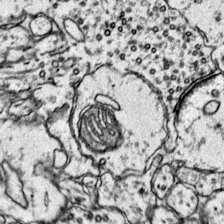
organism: Mouse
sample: Primary visual cortex